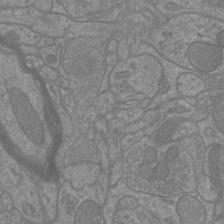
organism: Mouse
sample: Cortical neurons